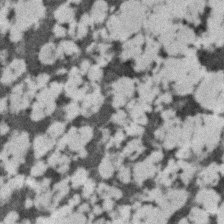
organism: C. elegans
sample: C. elegans embryo